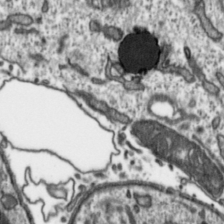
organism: Toxoplasma gondii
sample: Parasites in a vacuole inside a host cell